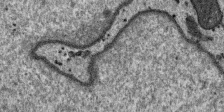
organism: Human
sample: Lung epithelial cells, uninfected (mock) control